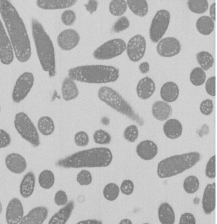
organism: E. coli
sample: Bacterial nucleoid